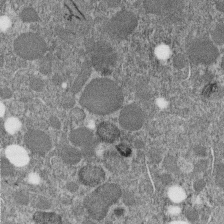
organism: C. elegans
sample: C. elegans embryo early stage